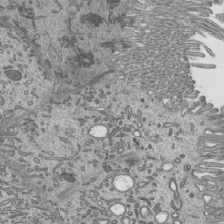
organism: Mouse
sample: Mouse epididymis efferent ductule cilia